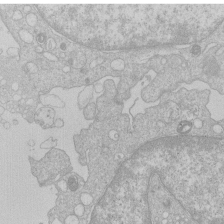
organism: Human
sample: Macrophage cells